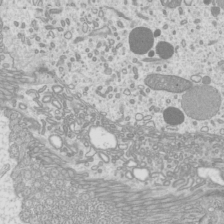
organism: Mouse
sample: Cilia; mouse epididymis